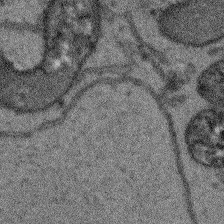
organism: Arabidopsis thaliana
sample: Root tip